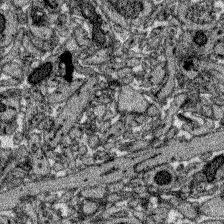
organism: Zebrafish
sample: Larval olfactory bulb